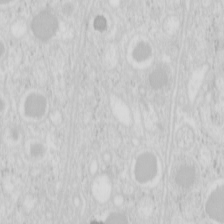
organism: Mouse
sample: Pancreas